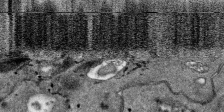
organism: Human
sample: Lung epithelial cells, uninfected (mock) control